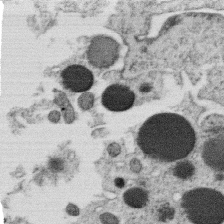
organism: C. elegans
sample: C. elegans oocyte; sperm cells